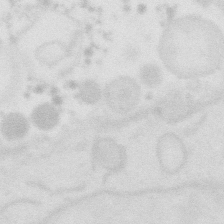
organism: Human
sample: HeLa cells